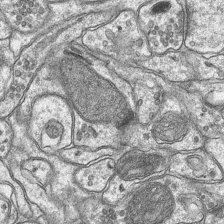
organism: Mouse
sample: CA1 Hippocampus